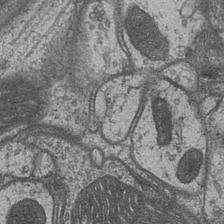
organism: Drosophila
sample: Optic medulla